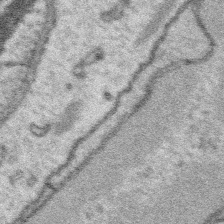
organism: Platynereis dumerilii